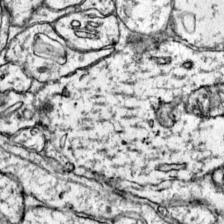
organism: Mouse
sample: Primary visual cortex